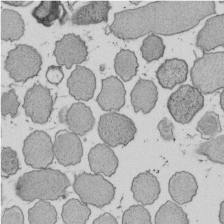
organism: E. coli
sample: Bacterial nucleoid